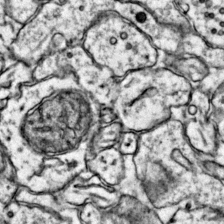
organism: Mouse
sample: Primary visual cortex